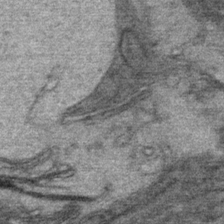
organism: Mouse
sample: Mouse Salivary gland